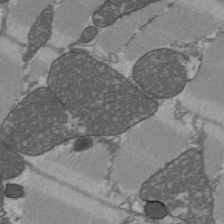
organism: C57BL Mouse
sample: Heart